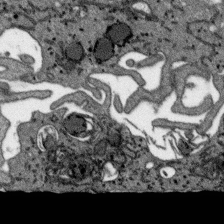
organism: Human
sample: Lung epithelial cells, uninfected (mock) control